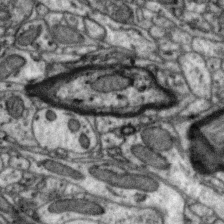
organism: Zebra finch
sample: Brain